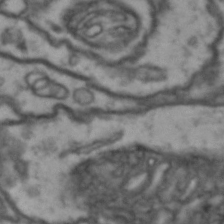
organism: Drosophila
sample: Brain